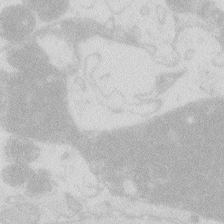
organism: Zebrafish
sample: Macrophage